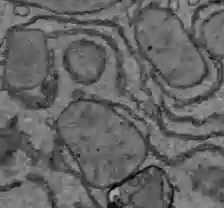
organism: C57BL Mouse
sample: Liver